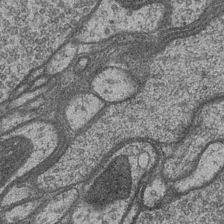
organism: Drosophila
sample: Optic medulla